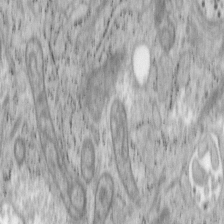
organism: Human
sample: HeLa cells